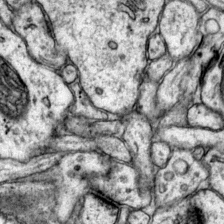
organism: Mouse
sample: Primary visual cortex